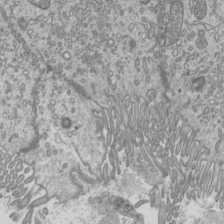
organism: Mouse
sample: Cilia; mouse epididymis